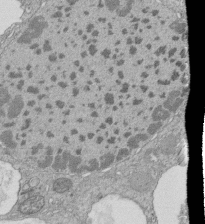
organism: Tetrahymena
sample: Cilia in tetrahymena